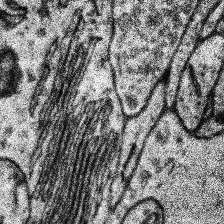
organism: Human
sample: Temporal Lobe